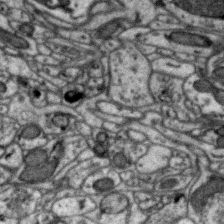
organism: Zebra finch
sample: Brain